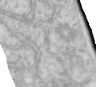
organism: Human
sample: Centriole in RPE cells